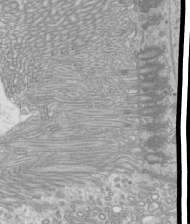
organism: Mouse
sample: Cilia; mouse epididymis